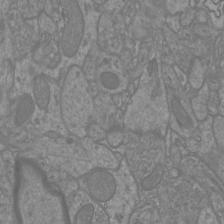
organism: Mouse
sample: Cortical neurons